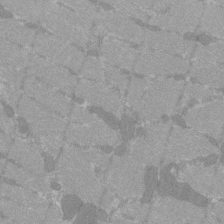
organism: C57BL Mouse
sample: Tibialis anterior muscle cell